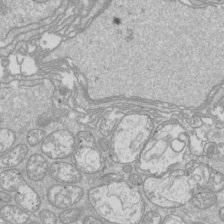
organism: Drosophila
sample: Cell division; meiosis; drosophila spermatocytes